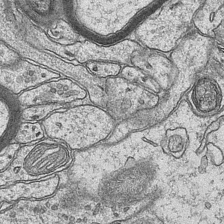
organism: Mouse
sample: CA1 Hippocampus